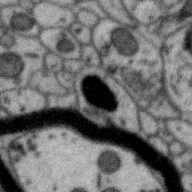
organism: Zebra finch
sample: Brain